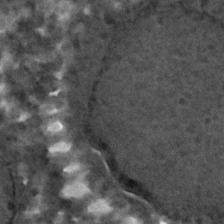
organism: C. elegans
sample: C. elegans embryo